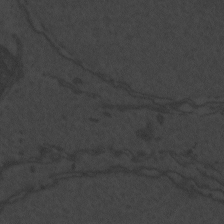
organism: Zebrafish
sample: Macrophage infected with Toxoplasma gondii